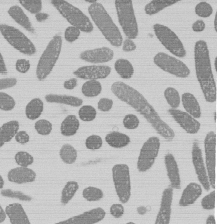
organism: E. coli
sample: Bacterial nucleoid